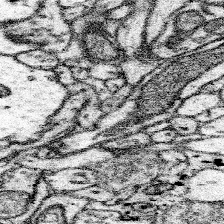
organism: Mouse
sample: Somatosensory cortex neuropil